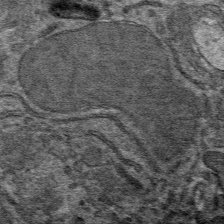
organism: Mouse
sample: Mouse hepatocytes